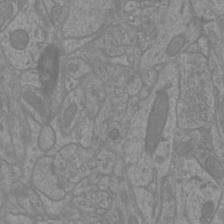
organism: Mouse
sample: Cortical neurons